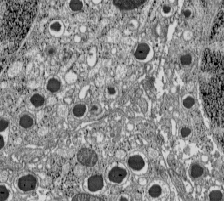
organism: C57BL Mouse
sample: Pancreatic islet